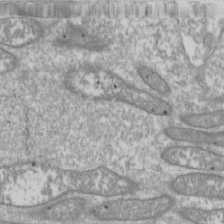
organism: Drosophila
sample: Cell division; meiosis; drosophila spermatocytes